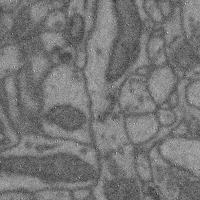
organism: Mouse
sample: Cerebral cortex